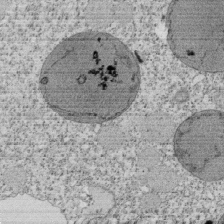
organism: Tetrahymena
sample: Cilia in tetrahymena